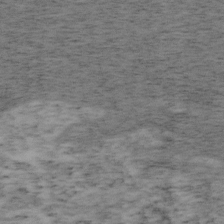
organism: Mouse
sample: OT-I killer T cells with ID8 ovarian cancer cells